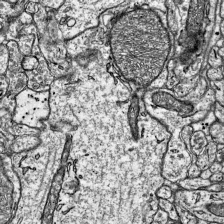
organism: Mouse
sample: Visual Cortex